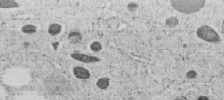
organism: C. elegans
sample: C. elegans embryo early stage